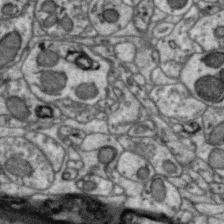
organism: Zebra finch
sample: Brain